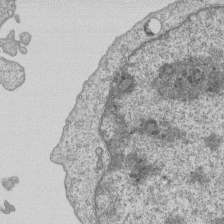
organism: Human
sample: MDA-MB-231 cells